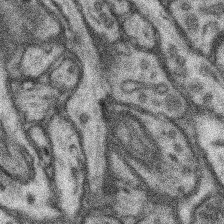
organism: Mouse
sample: Somatosensory cortex neuropil